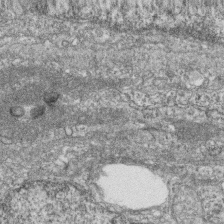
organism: Zebrafish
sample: Cilia; retinal pigment epithelium